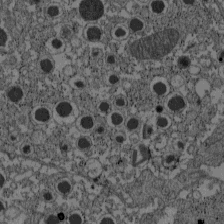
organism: C57BL Mouse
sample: Pancreatic islet